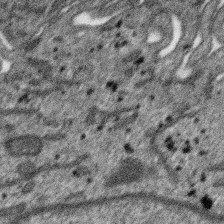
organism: Human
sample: Lung epithelial cells infected with SARS-CoV-2